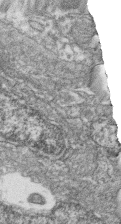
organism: Zebrafish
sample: Cilia; retinal pigment epithelium